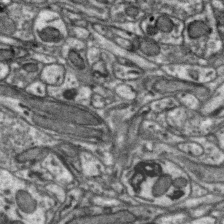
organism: Zebra finch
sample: Brain